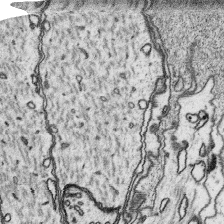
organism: Platynereis dumerilii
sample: Parapodia